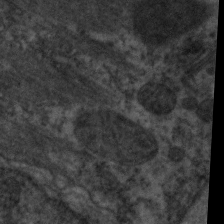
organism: C. elegans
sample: Pharynx